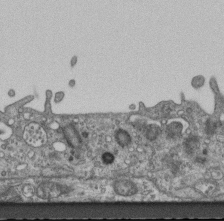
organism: Mouse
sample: Centriole in ependymal cells